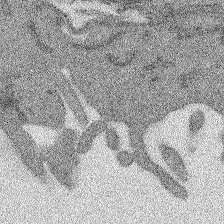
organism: Human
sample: HeLa cells